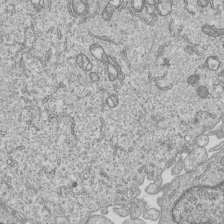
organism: Human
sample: MDA-MB-231 cells